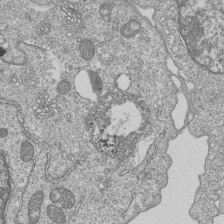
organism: Human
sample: MDA-MB-231 cells